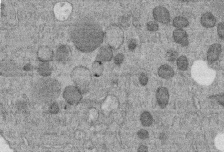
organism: C. elegans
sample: C. elegans embryo early stage